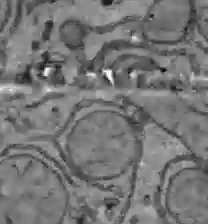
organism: C57BL Mouse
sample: Liver